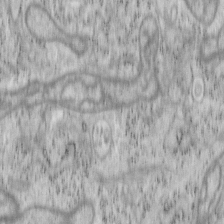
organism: Human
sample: HeLa cells